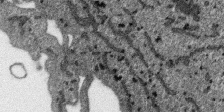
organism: Human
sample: Lung epithelial cells infected with SARS-CoV-2